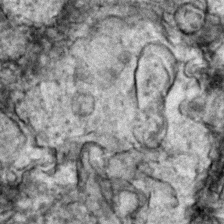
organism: Zebrafish